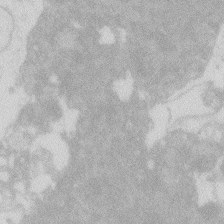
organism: Zebrafish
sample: Macrophage